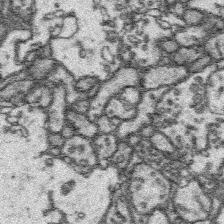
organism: Platynereis dumerilii